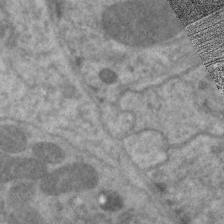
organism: C. elegans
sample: Pharynx